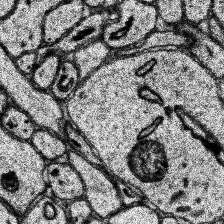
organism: Human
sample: Temporal Lobe